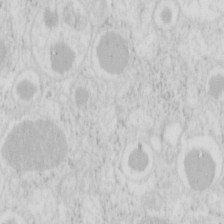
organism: Mouse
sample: Pancreas